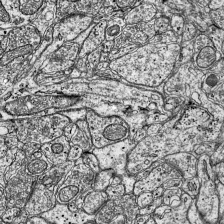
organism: Mouse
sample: Visual Cortex